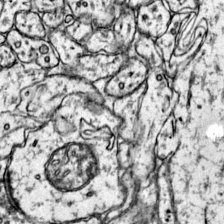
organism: Mouse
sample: Primary visual cortex